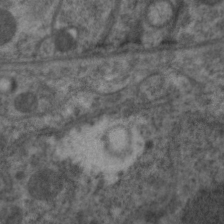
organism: C. elegans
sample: Pharynx